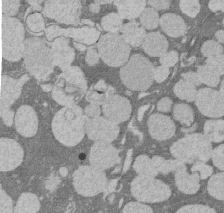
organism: Rat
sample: Salivary granule